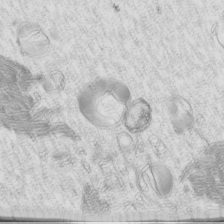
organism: Mouse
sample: Cilia; mouse epididymis